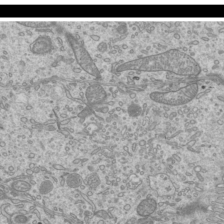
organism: Mouse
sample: Cilia; mouse epididymis